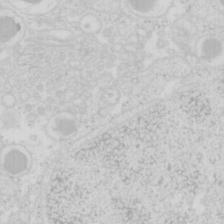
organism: Mouse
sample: Pancreas